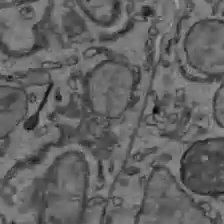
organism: C57BL Mouse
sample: Liver